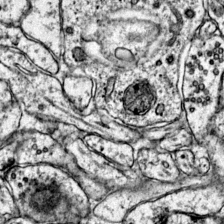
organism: Mouse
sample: Primary visual cortex